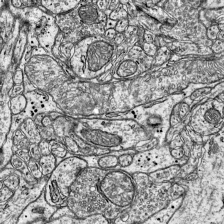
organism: Mouse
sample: Visual Cortex